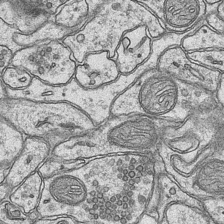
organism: Mouse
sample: CA1 Hippocampus